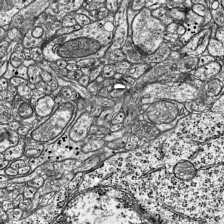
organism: Mouse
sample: Visual Cortex